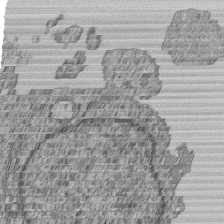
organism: Human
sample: MDA-MB-231 cells